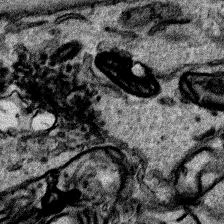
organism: Human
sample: Mitochondria in HCT116 cells